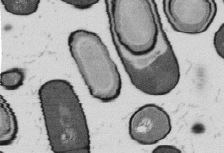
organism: B. subtilis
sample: Bacterial spore